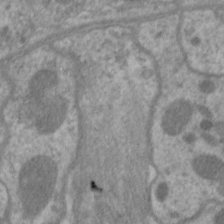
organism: C. elegans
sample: Pharynx